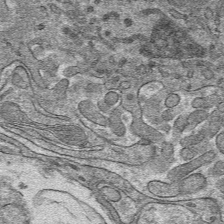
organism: Mouse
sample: Mouse hepatocytes